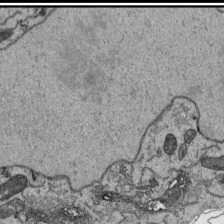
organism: Human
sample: Mitochondria in HCT116 cells